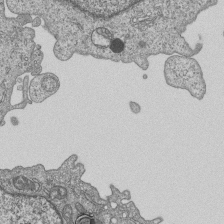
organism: Human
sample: MDA-MB-231 cells